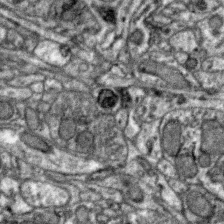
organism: Zebra finch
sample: Brain